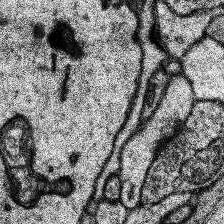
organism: Human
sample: Temporal Lobe